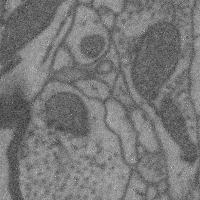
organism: Mouse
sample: Cerebral cortex